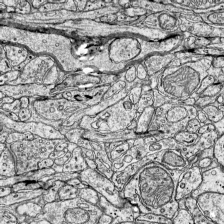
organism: Mouse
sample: Visual Cortex